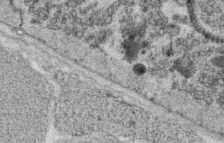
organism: C. elegans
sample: C. elegans oocyte; sperm cells